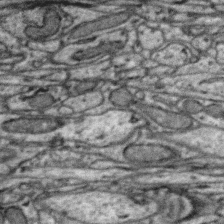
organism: Zebra finch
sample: Brain